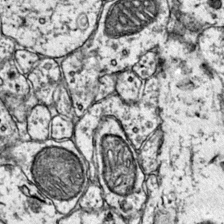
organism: Mouse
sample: Primary visual cortex